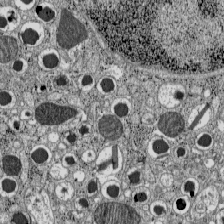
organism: C57BL Mouse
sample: Pancreatic islet